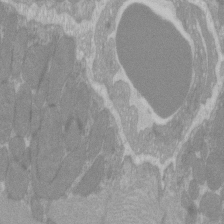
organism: C57BL Mouse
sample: Tibialis anterior muscle cell